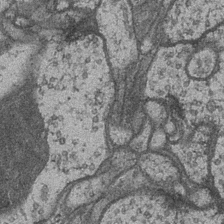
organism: Drosophila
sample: Optic medulla